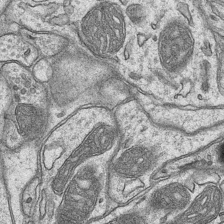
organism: Mouse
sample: CA1 Hippocampus